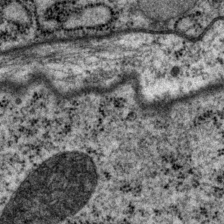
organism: P. pacificus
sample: Pharynx